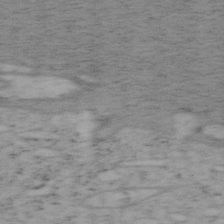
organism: Mouse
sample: OT-I killer T cells with ID8 ovarian cancer cells